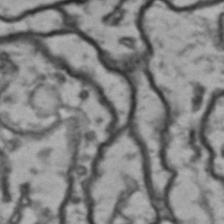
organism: Drosophila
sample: Brain